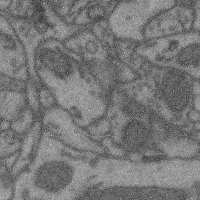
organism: Mouse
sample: Cerebral cortex